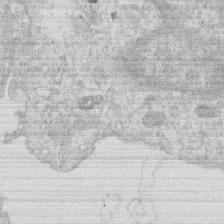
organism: Human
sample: Macrophage cells